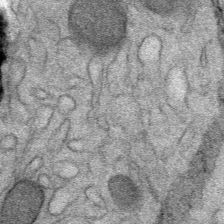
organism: Mouse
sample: Mouse Salivary gland